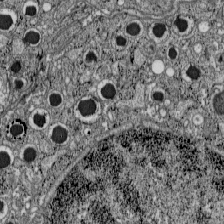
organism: C57BL Mouse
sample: Pancreatic islet